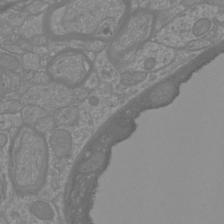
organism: Mouse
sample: Cortical neurons